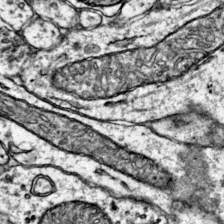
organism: Mouse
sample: Primary visual cortex